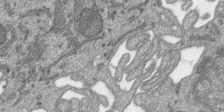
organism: Human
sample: Lung epithelial cells infected with SARS-CoV-2